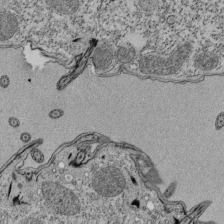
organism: Tetrahymena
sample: Cilia in tetrahymena